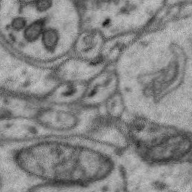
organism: Zebra finch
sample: Brain